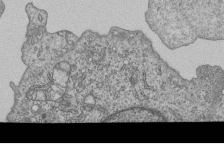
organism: Human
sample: MDA-MB-231 cells